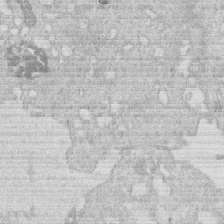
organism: Human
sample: Macrophage cells